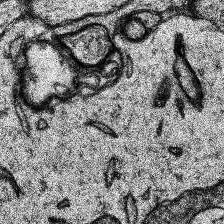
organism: Human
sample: Temporal Lobe